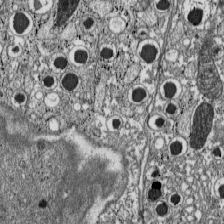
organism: C57BL Mouse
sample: Pancreatic islet